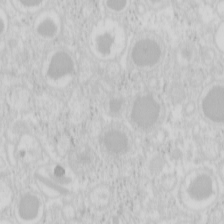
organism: Mouse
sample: Pancreas